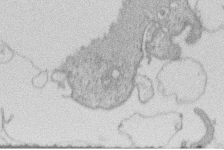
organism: Human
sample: Macrophage cells